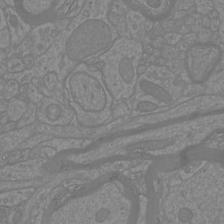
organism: Mouse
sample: Cortical neurons